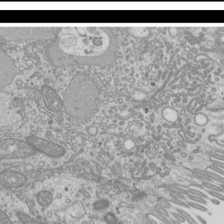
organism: Mouse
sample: Cilia; mouse epididymis